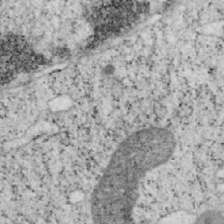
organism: Mouse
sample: OT-I killer T cells with ID8 ovarian cancer cells